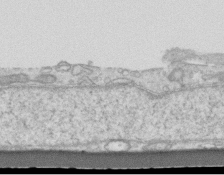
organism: Mouse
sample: Centriole in ependymal cells